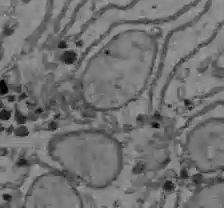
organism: C57BL Mouse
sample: Liver